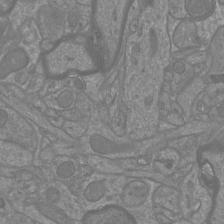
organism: Mouse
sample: Cortical neurons